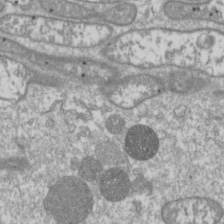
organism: Drosophila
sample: Cell division; meiosis; drosophila spermatocytes